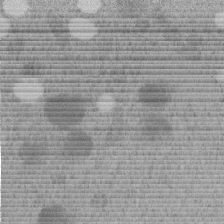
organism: C. elegans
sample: C. elegans embryo early stage